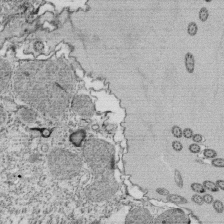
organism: Tetrahymena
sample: Cilia in tetrahymena